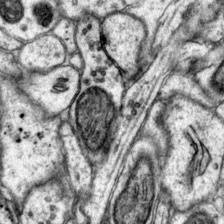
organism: Mouse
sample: Primary visual cortex